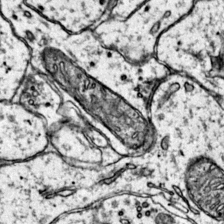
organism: Mouse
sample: Primary visual cortex